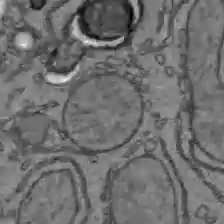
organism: C57BL Mouse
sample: Liver